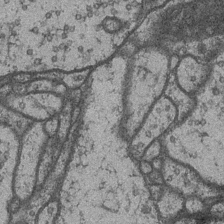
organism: Drosophila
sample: Optic medulla